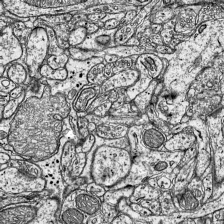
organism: Mouse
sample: Visual Cortex